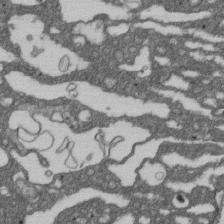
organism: Drosophila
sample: Nephrocyte